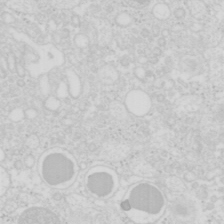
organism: Mouse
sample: Pancreas